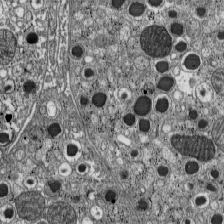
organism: C57BL Mouse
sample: Pancreatic islet